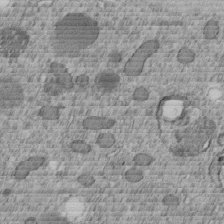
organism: C. elegans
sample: C. elegans embryo early stage